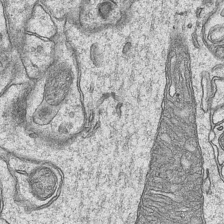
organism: Mouse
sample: CA1 Hippocampus